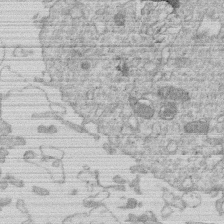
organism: Human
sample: Macrophage cells